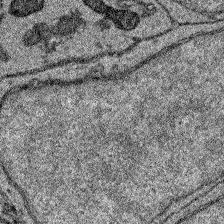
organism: Zebrafish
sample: Larval olfactory bulb